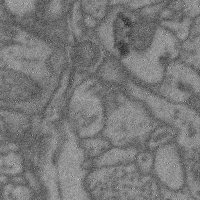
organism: Mouse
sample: Cerebral cortex